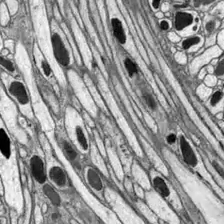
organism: Drosophila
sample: Optic lobe